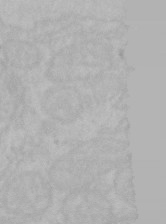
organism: Mouse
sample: Choroid plexus